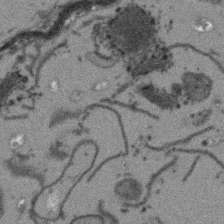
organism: Arabidopsis thaliana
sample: Root tip